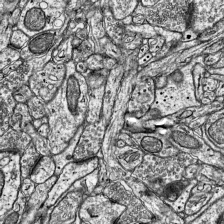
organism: Mouse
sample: Visual Cortex